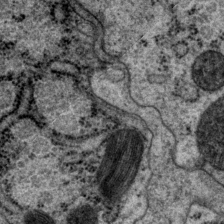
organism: P. pacificus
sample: Pharynx